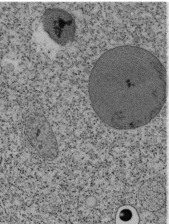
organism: Tetrahymena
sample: Cilia in tetrahymena